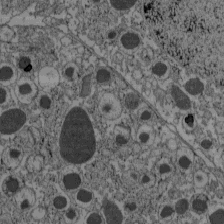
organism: C57BL Mouse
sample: Pancreatic islet